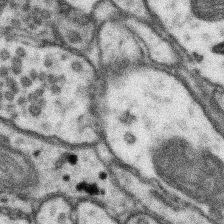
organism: Mouse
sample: Somatosensory cortex neuropil